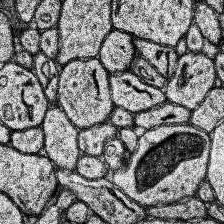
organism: Human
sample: Temporal Lobe